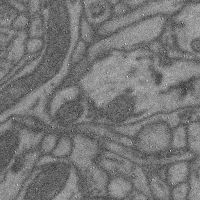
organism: Mouse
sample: Cerebral cortex